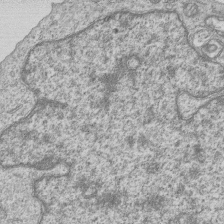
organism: Human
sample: MDA-MB-231 cells